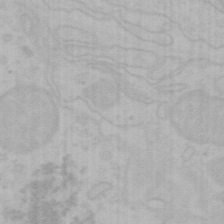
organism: Mouse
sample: Choroid plexus